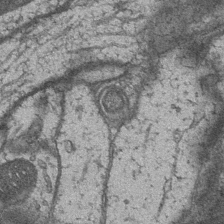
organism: Drosophila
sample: Optic medulla